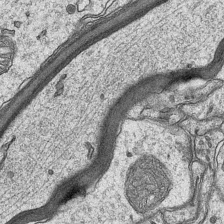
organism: Mouse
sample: CA1 Hippocampus